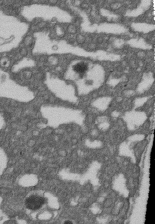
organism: Drosophila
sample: Nephrocyte